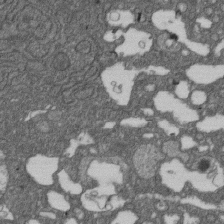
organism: Drosophila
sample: Nephrocyte